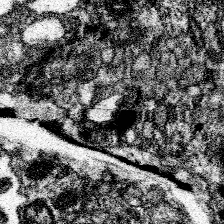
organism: Spongilla lacustris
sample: Neuroid cell